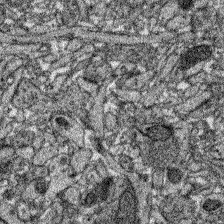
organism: Zebrafish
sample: Larval olfactory bulb